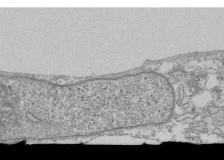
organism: Human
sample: Fibroblast cells